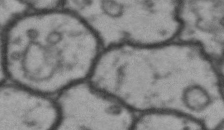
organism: Drosophila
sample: Brain